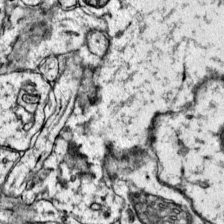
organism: Mouse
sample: Primary visual cortex